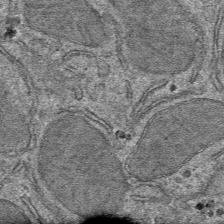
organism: Mouse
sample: Mouse hepatocytes